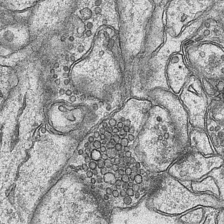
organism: Mouse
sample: CA1 Hippocampus